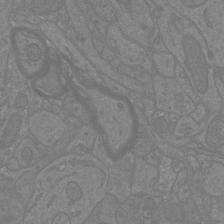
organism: Mouse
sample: Cortical neurons